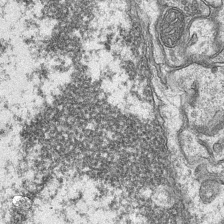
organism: Mouse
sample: CA1 Hippocampus